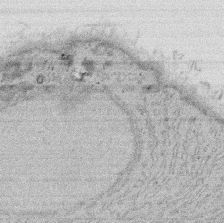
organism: Rat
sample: Salivary granule